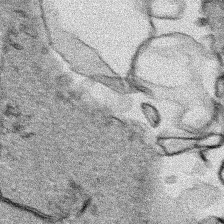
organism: Human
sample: Mitochondria in HCT116 cells